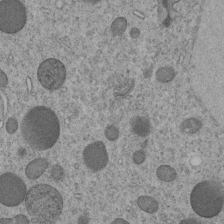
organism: C. elegans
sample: C. elegans embryo early stage